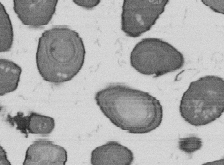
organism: B. subtilis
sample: Bacterial spore